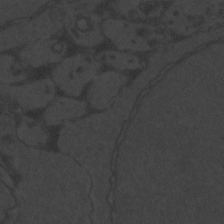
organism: Zebrafish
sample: Macrophage infected with Toxoplasma gondii